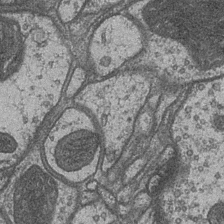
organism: Drosophila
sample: Optic medulla